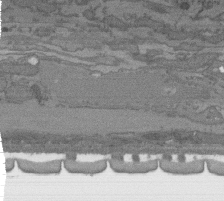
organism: C. elegans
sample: AFD neurons C. elegans